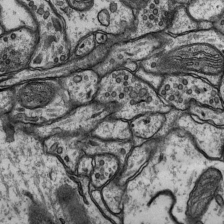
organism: Rat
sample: Hippocampus